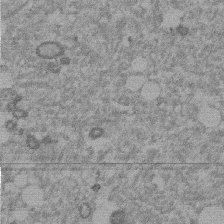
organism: Mouse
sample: Dividing mouse embryo 1 cell stage